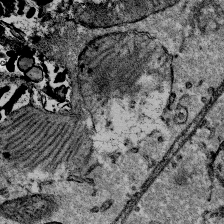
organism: Mouse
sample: Mouse Salivary gland